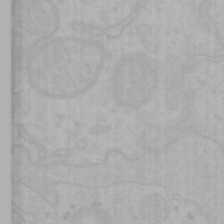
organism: Mouse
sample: Choroid plexus